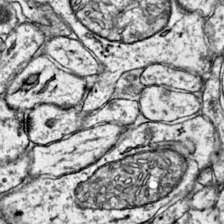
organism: Mouse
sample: Primary visual cortex